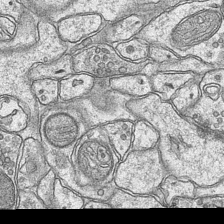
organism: Mouse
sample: CA1 Hippocampus